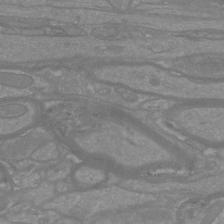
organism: Mouse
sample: Cortical neurons